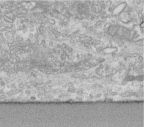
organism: Human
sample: Centriole in fibroblast cells